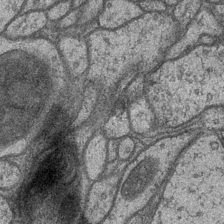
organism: Drosophila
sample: Optic medulla